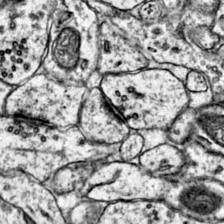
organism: Mouse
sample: Primary visual cortex